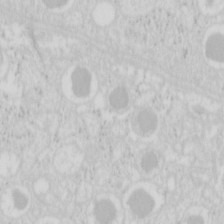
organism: Mouse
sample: Pancreas